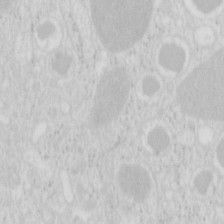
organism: Mouse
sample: Pancreas